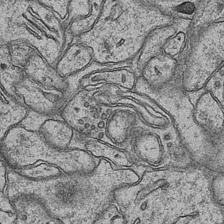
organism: Mouse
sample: CA1 Hippocampus